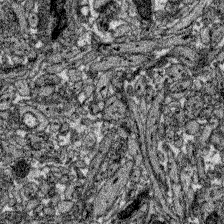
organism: Zebrafish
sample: Larval olfactory bulb